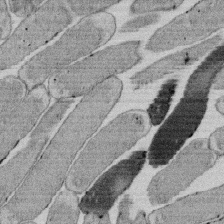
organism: E. coli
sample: Bacterial nucleoid